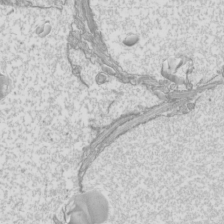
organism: Mouse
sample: Cilia; mouse epididymis